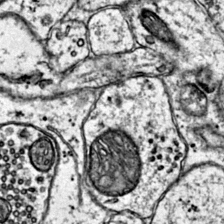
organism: Mouse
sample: Primary visual cortex